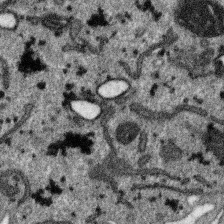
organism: Human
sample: Lung epithelial cells infected with SARS-CoV-2